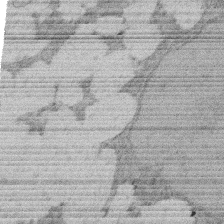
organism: Rat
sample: Salivary granule